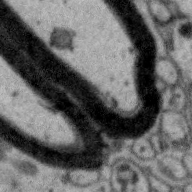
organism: Zebra finch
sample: Brain